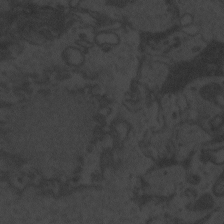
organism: Zebrafish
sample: Macrophage infected with Toxoplasma gondii